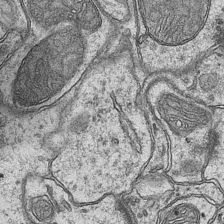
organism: Mouse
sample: CA1 Hippocampus